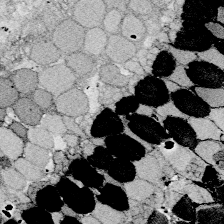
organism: Zebrafish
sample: Whole-Brain